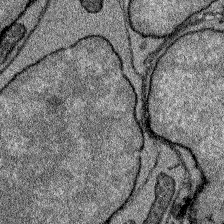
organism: Zebrafish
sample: Larval olfactory bulb